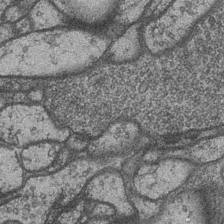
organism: Drosophila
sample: Optic medulla